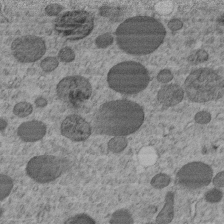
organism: C. elegans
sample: C. elegans embryo early stage